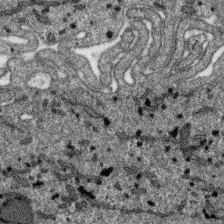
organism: Human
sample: Lung epithelial cells infected with SARS-CoV-2